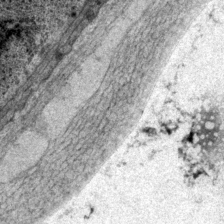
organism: P. pacificus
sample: Pharynx